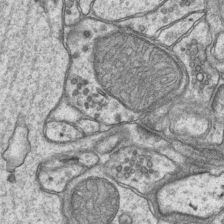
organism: Mouse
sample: CA1 Hippocampus